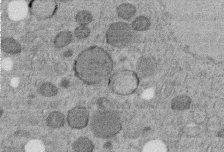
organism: C. elegans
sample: C. elegans embryo early stage